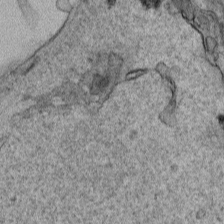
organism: Human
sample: Mitochondria in HCT116 cells